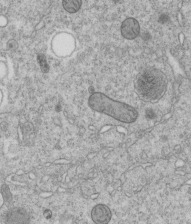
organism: C. elegans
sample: C. elegans embryo early stage